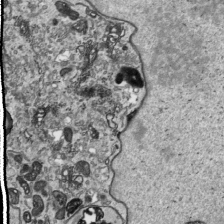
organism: Human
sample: Mitochondria in HCT116 cells